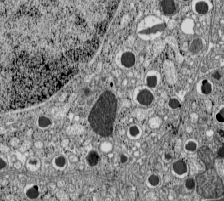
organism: C57BL Mouse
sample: Pancreatic islet